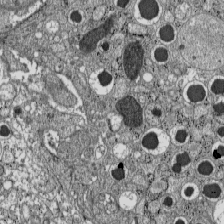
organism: C57BL Mouse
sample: Pancreatic islet